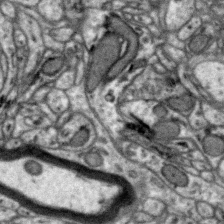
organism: Zebra finch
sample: Brain